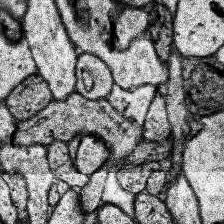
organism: Human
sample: Temporal Lobe